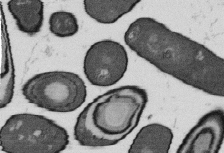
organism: B. subtilis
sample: Bacterial spore